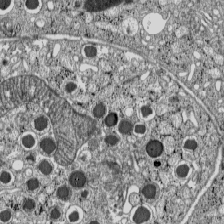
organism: C57BL Mouse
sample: Pancreatic islet